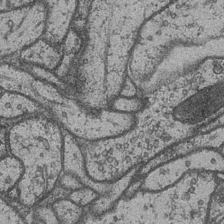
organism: Drosophila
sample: Optic medulla